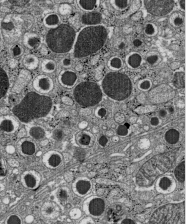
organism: C57BL Mouse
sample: Pancreatic islet